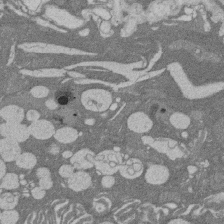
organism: Rat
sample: Salivary granule